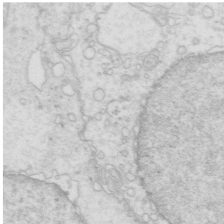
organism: Mouse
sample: Multiciliated cells